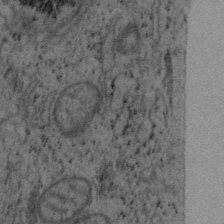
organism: Human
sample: HeLa cells